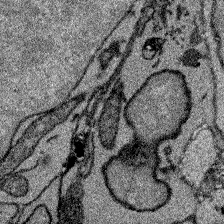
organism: Zebrafish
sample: Larval olfactory bulb